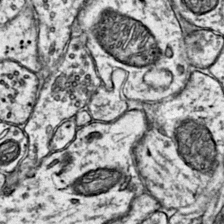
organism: Mouse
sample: Primary visual cortex